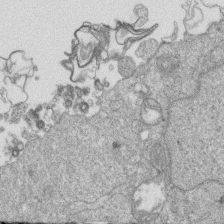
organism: Human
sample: HeLa cell HIV synapse